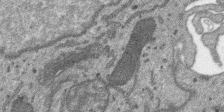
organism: Human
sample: Lung epithelial cells infected with SARS-CoV-2